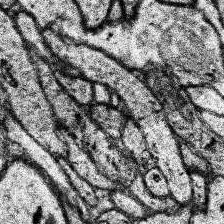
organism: Human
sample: Temporal Lobe